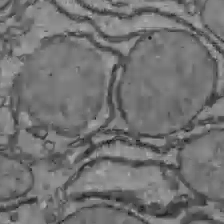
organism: C57BL Mouse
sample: Liver